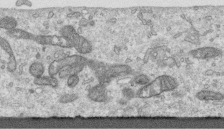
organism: Human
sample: Centriole in RPE cells